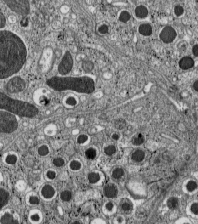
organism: C57BL Mouse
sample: Pancreatic islet